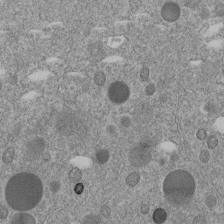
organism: C. elegans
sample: C. elegans embryo early stage